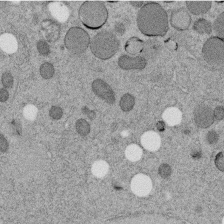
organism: C. elegans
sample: C. elegans embryo early stage